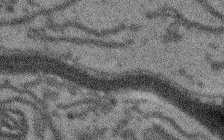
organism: Arabidopsis thaliana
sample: Root tip